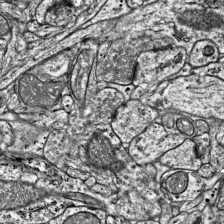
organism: Mouse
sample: Visual Cortex